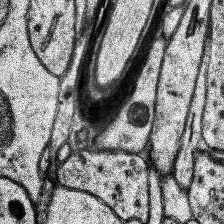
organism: Human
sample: Temporal Lobe